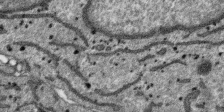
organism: Human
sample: Lung epithelial cells, uninfected (mock) control